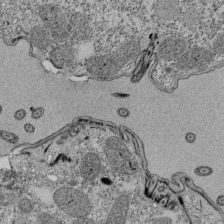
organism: Tetrahymena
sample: Cilia in tetrahymena